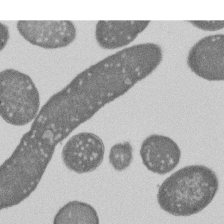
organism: E. coli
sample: Bacterial nucleoid